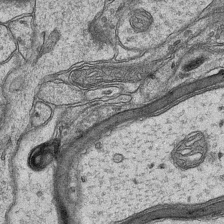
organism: Mouse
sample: CA1 Hippocampus